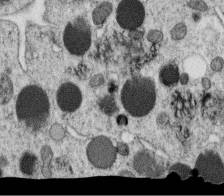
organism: C. elegans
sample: C. elegans oocyte; sperm cells